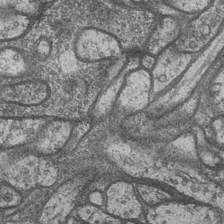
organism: Drosophila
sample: Optic medulla